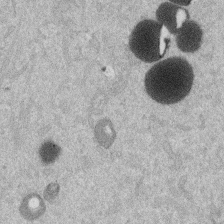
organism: Mouse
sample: Dividing mouse embryo 1 cell stage